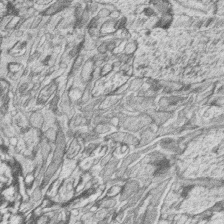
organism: Zebrafish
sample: synaptic ribbons in rod cells and cone cells